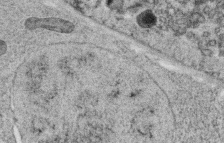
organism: C. elegans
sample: C. elegans oocyte; sperm cells